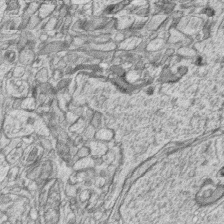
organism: Zebrafish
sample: synaptic ribbons in rod cells and cone cells